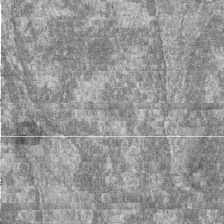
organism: Zebrafish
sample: Cilia; retinal pigment epithelium